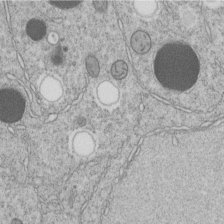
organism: C. elegans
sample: C. elegans embryo early stage